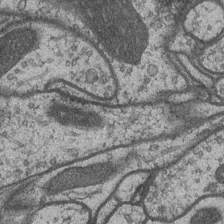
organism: Drosophila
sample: Optic medulla